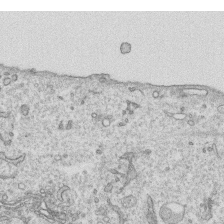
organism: Human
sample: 1205lu cells